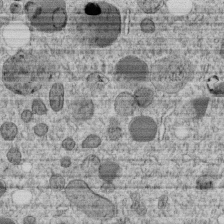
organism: C. elegans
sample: C. elegans embryo early stage